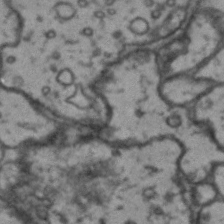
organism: Drosophila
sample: Brain